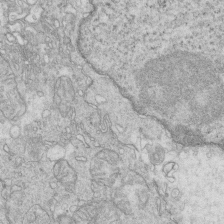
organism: Mouse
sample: Multiciliated cells